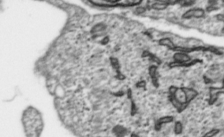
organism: Toxoplasma gondii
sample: Parasites in a vacuole inside a host cell